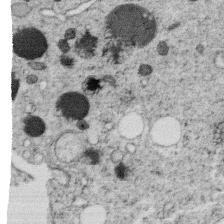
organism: C. elegans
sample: C. elegans oocyte; sperm cells